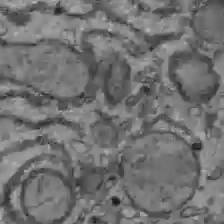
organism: C57BL Mouse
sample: Liver